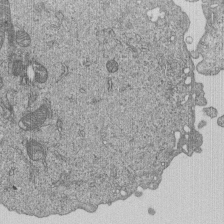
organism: Human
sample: MDA-MB-231 cells